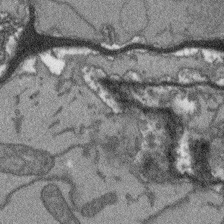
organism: Arabidopsis thaliana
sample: Root tip